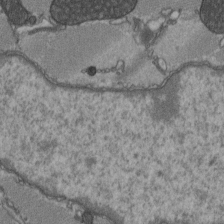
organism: C57BL Mouse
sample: Heart